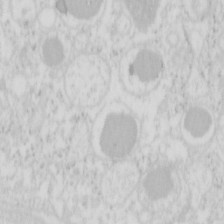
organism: Mouse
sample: Pancreas